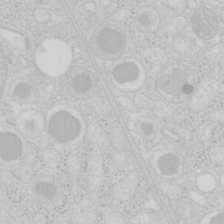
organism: Mouse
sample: Pancreas